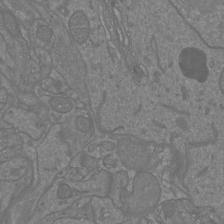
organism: Mouse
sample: Cortical neurons